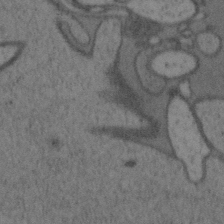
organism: Human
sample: HeLa cells